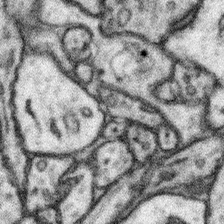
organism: Mouse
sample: Somatosensory cortex neuropil